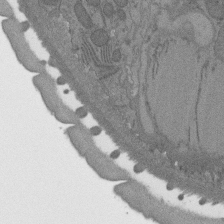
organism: C. elegans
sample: AFD neurons C. elegans